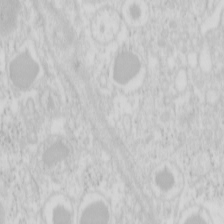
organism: Mouse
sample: Pancreas